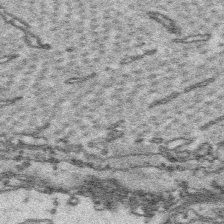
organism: Platynereis dumerilii